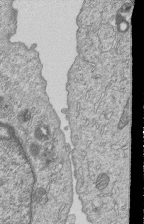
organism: Human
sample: MDA-MB-231 cells